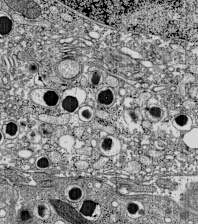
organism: C57BL Mouse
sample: Pancreatic islet